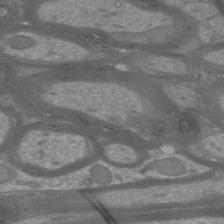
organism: Mouse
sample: Cortical neurons